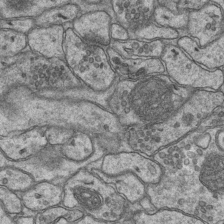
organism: Mouse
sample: CA1 Hippocampus